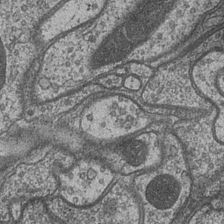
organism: Drosophila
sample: Optic medulla